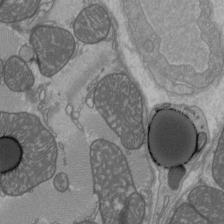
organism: C57BL Mouse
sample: Heart